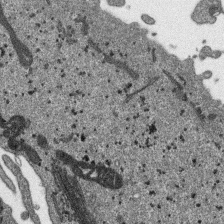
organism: Human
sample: Lung epithelial cells infected with SARS-CoV-2